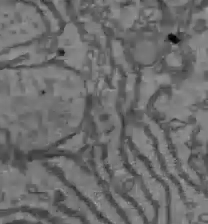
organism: C57BL Mouse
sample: Liver